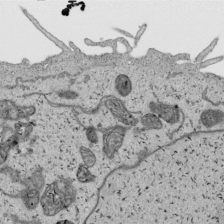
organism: Human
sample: Mitochondria in HCT116 cells